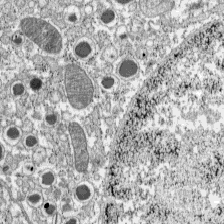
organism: C57BL Mouse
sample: Pancreatic islet